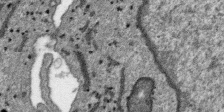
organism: Human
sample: Lung epithelial cells, uninfected (mock) control